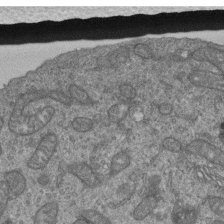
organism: Human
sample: Retinal organoid Rod and Cone cells